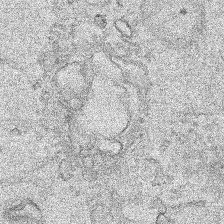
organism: Human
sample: Mitochondria in HCT116 cells